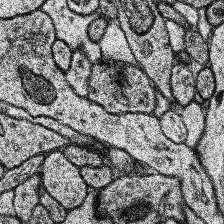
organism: Human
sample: Temporal Lobe